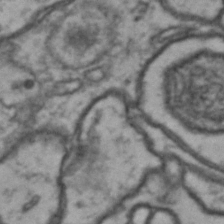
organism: Drosophila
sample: Brain